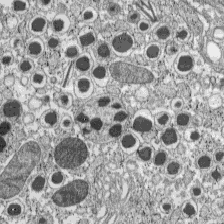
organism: C57BL Mouse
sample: Pancreatic islet